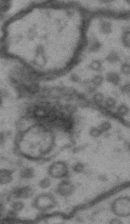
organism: Drosophila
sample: Brain